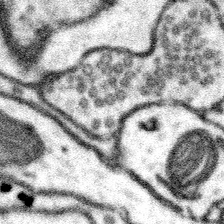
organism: Mouse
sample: Somatosensory cortex neuropil